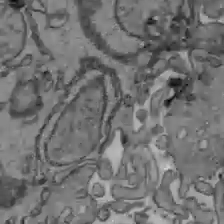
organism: C57BL Mouse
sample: Liver